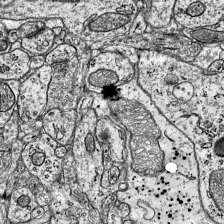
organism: Mouse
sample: Visual Cortex